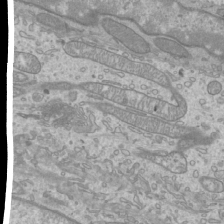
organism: Mouse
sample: Cilia; mouse epididymis